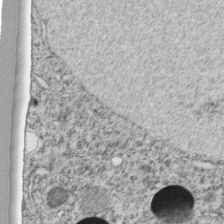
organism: C. elegans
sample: C. elegans embryo early stage